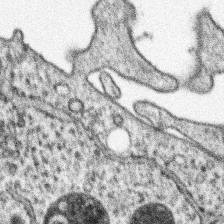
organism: Human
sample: HeLa cells